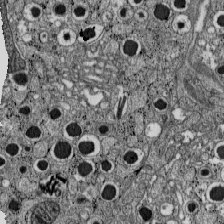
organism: C57BL Mouse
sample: Pancreatic islet